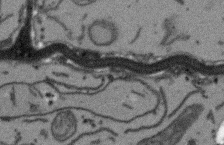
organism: Arabidopsis thaliana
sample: Root tip